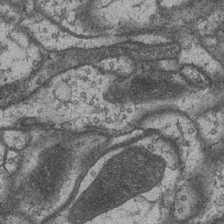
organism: Drosophila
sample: Optic medulla